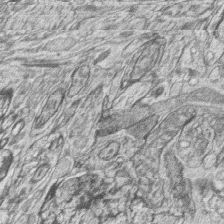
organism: Zebrafish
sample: synaptic ribbons in rod cells and cone cells